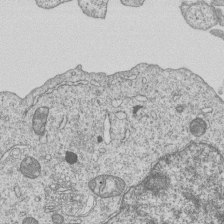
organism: Human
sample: MDA-MB-231 cells